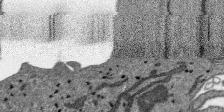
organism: Human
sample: Lung epithelial cells, uninfected (mock) control